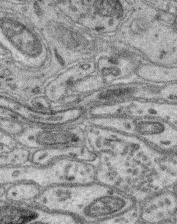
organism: Mouse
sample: Retina